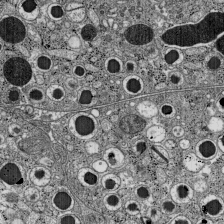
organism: C57BL Mouse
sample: Pancreatic islet